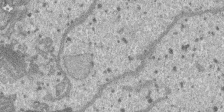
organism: Human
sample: Lung epithelial cells infected with SARS-CoV-2